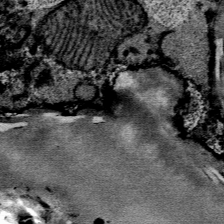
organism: Mouse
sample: Mouse Salivary gland